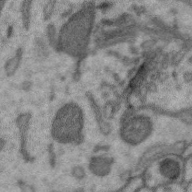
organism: Zebra finch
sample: Brain